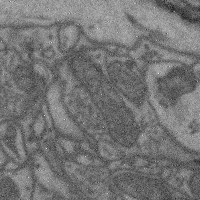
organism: Mouse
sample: Cerebral cortex